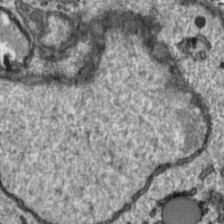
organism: Toxoplasma gondii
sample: Parasites in a vacuole inside a host cell